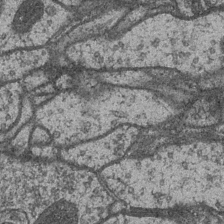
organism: Drosophila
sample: Optic medulla